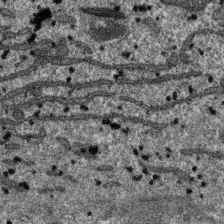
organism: Human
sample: Lung epithelial cells infected with SARS-CoV-2